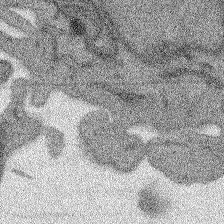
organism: Human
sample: HeLa cells